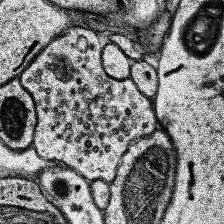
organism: Human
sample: Temporal Lobe